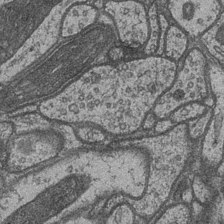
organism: Drosophila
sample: Optic medulla